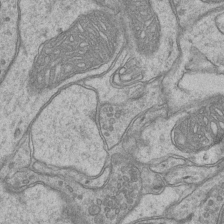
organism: Mouse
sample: CA1 Hippocampus